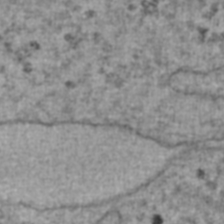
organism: Human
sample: Blood